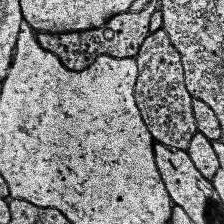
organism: Human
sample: Temporal Lobe